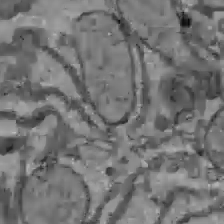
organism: C57BL Mouse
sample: Liver